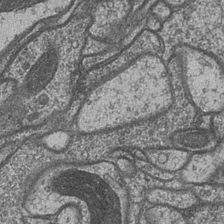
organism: Drosophila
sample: Optic medulla